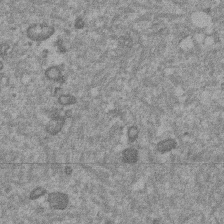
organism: Mouse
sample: Dividing mouse embryo 1 cell stage